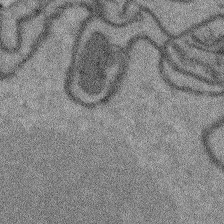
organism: Arabidopsis thaliana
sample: Root tip